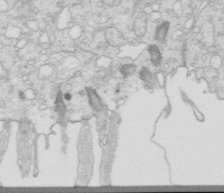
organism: Mouse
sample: Multiciliated cells